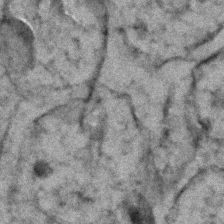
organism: Zebrafish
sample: Zebrafish embryo